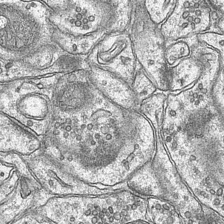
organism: Mouse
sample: CA1 Hippocampus